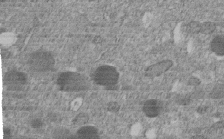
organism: C. elegans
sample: C. elegans embryo early stage